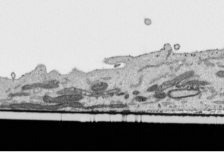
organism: Human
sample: Mitochondria in HCT116 cells